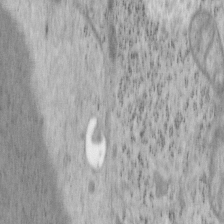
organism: Human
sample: HeLa cells